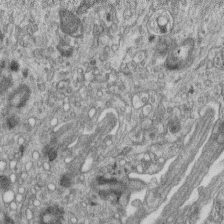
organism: Mouse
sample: Centriole in ependymal cells